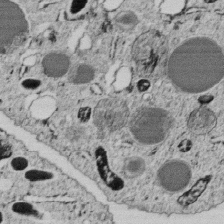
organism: C. elegans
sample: C. elegans embryo early stage